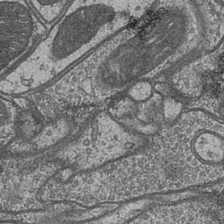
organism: Drosophila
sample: Optic medulla